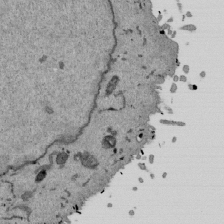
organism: Mouse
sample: ED-1 cell nuclei; centrioles